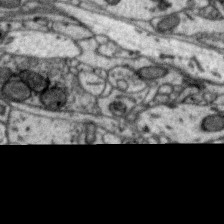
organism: Zebra finch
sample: Brain